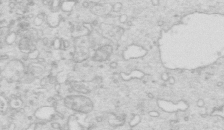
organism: Mouse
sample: Multiciliated cells